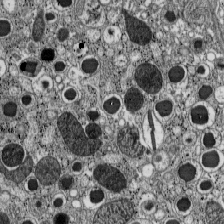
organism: C57BL Mouse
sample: Pancreatic islet